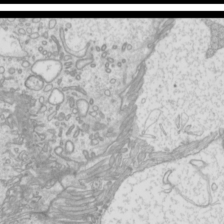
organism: Mouse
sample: Cilia; mouse epididymis